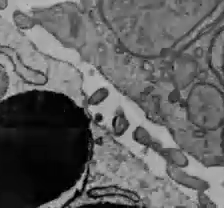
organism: C57BL Mouse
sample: Liver